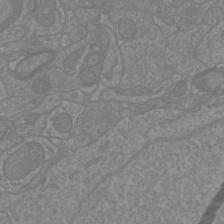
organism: Mouse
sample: Cortical neurons